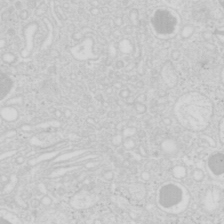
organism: Mouse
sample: Pancreas